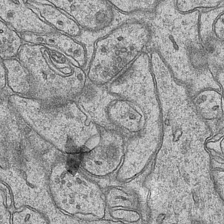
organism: Mouse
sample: CA1 Hippocampus